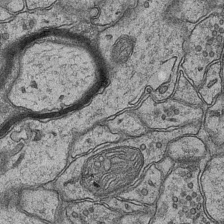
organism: Mouse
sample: CA1 Hippocampus